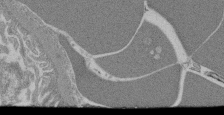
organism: Mouse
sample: Glomerulus